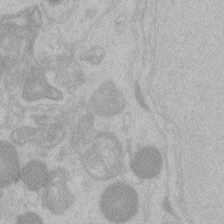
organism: Zebrafish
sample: Macrophage infected with Toxoplasma gondii